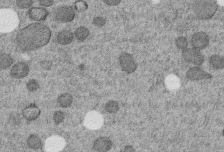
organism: C. elegans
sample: C. elegans embryo early stage